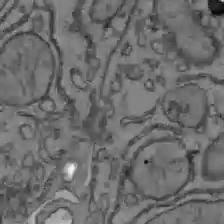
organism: C57BL Mouse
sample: Liver